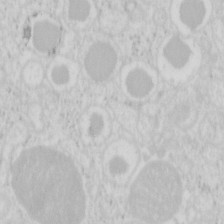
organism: Mouse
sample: Pancreas